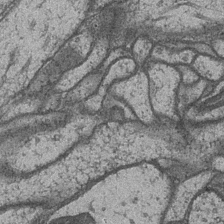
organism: Drosophila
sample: Optic medulla